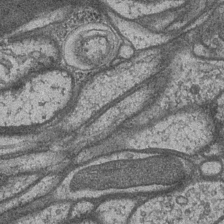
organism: Drosophila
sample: Optic medulla